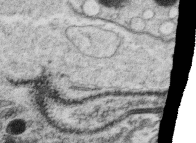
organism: C. elegans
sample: C. elegans oocyte; sperm cells